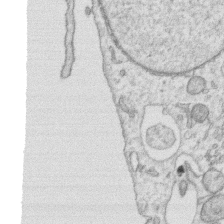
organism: Human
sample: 1205lu cells